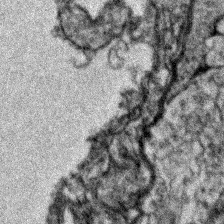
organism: Zebrafish